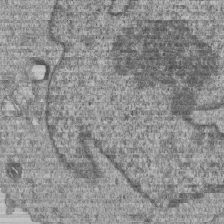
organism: Human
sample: MDA-MB-231 cells